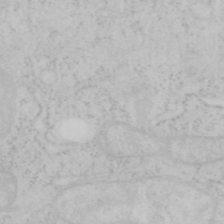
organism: Mouse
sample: OT-I killer T cells with ID8 ovarian cancer cells